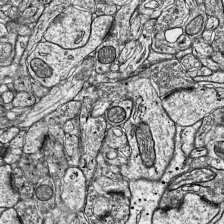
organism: Mouse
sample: Visual Cortex